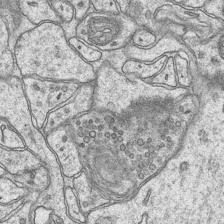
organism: Mouse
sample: CA1 Hippocampus